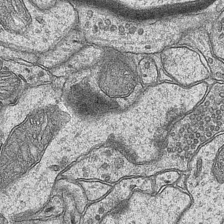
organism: Mouse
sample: CA1 Hippocampus